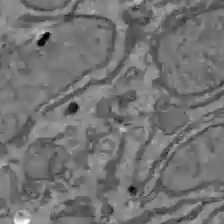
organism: C57BL Mouse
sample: Liver